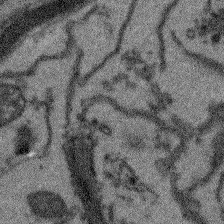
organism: Arabidopsis thaliana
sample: Root tip